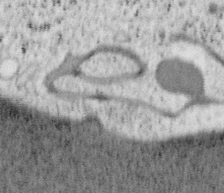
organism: Mouse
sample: OT-I killer T cells with ID8 ovarian cancer cells